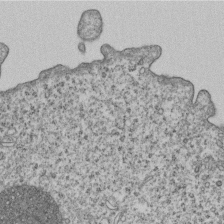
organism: Human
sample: MDA-MB-231 cells